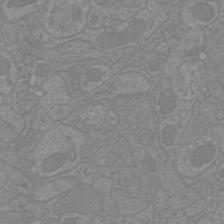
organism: Mouse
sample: Cortical neurons